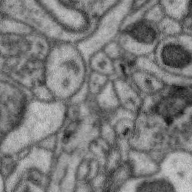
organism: Zebra finch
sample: Brain